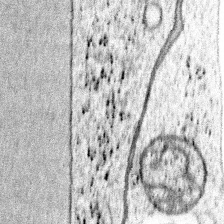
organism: Human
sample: HeLa cells